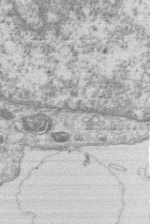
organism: Human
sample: Macrophage cells